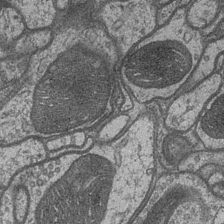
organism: Drosophila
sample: Optic medulla